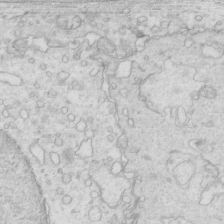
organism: Mouse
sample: Multiciliated cells